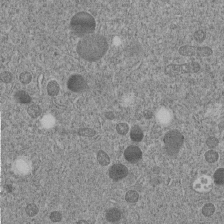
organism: C. elegans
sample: C. elegans embryo early stage